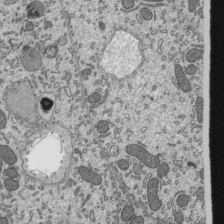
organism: Mouse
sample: Mouse epididymis efferent ductule cilia